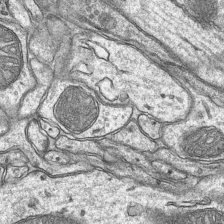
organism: Mouse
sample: CA1 Hippocampus